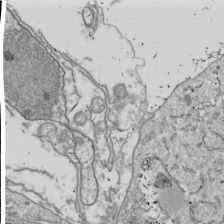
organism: Drosophila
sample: Cell division; meiosis; drosophila spermatocytes